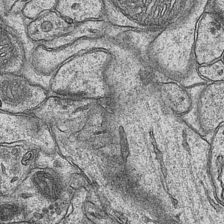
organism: Mouse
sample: CA1 Hippocampus